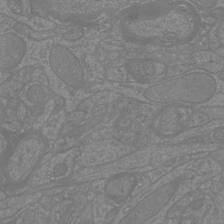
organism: Mouse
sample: Cortical neurons